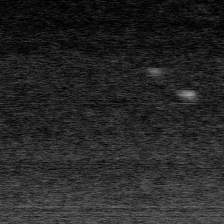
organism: Human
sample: HeLa cells